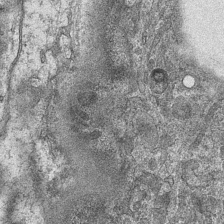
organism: Mouse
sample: CA1 Hippocampus